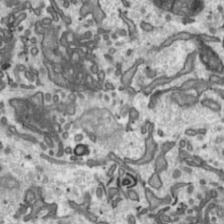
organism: Toxoplasma gondii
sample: Parasites in a vacuole inside a host cell